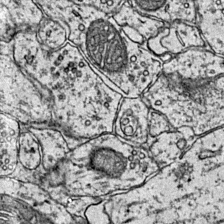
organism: Mouse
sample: Primary visual cortex